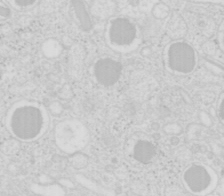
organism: Mouse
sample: Pancreas